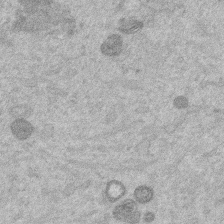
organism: Mouse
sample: Dividing mouse embryo 1 cell stage